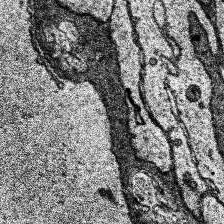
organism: Human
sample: Temporal Lobe